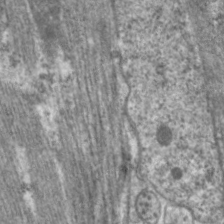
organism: C. elegans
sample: Pharynx